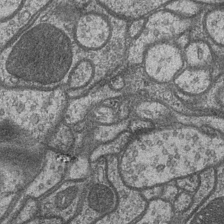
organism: Drosophila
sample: Optic medulla